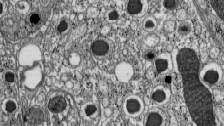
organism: C57BL Mouse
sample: Pancreatic islet